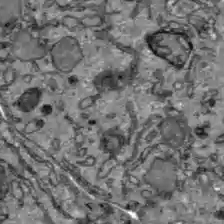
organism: C57BL Mouse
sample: Liver